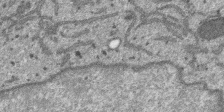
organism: Human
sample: Lung epithelial cells infected with SARS-CoV-2